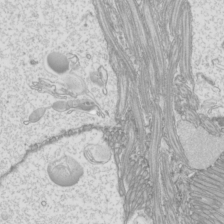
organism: Mouse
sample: Cilia; mouse epididymis